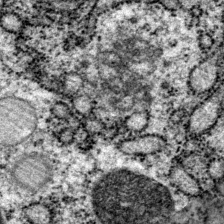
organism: P. pacificus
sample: Pharynx